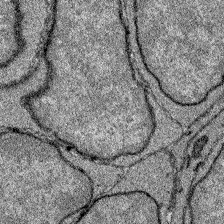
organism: Zebrafish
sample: Larval olfactory bulb